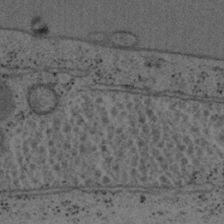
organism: Human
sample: HeLa cells